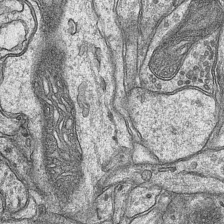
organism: Mouse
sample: CA1 Hippocampus